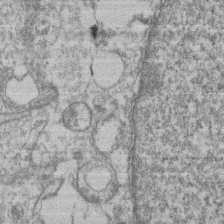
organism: Mouse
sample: T cell stromal cell synapse